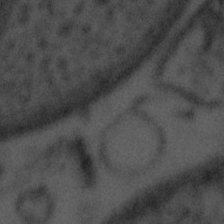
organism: Tuwongella immobilis